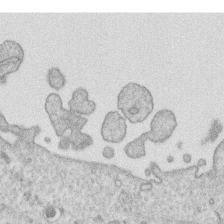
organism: Human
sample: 1205lu cells